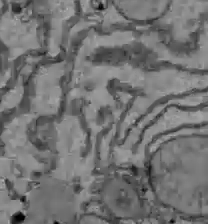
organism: C57BL Mouse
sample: Liver